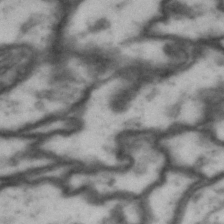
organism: Drosophila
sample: Brain